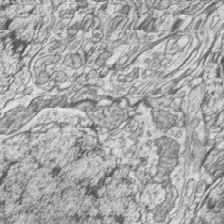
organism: Zebrafish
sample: synaptic ribbons in rod cells and cone cells